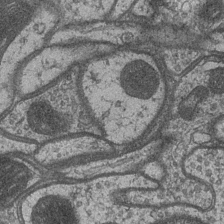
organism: Drosophila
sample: Optic medulla